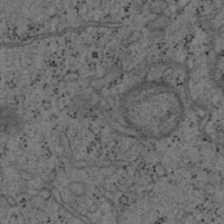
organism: Human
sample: HeLa cells